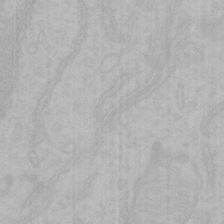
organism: Mouse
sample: Choroid plexus